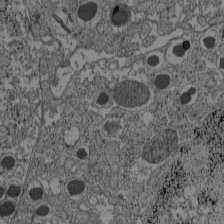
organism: C57BL Mouse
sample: Pancreatic islet